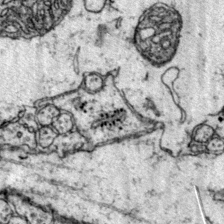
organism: Mouse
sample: Primary visual cortex